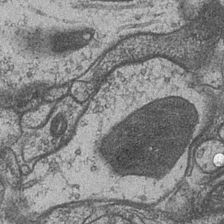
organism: Drosophila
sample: Optic medulla